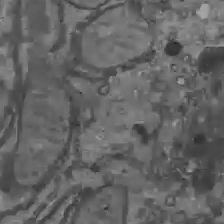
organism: C57BL Mouse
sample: Liver